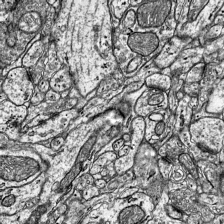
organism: Mouse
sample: Visual Cortex